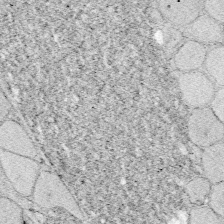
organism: Zebrafish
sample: Whole-Brain